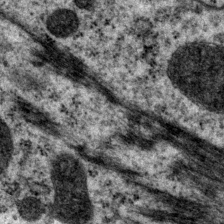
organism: P. pacificus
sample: Pharynx